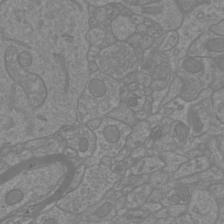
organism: Mouse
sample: Cortical neurons